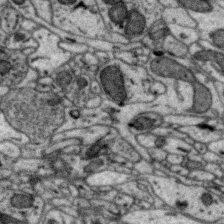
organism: Zebra finch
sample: Brain